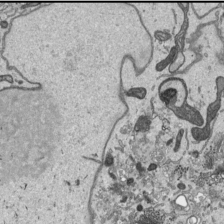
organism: Human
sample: Mitochondria in HCT116 cells